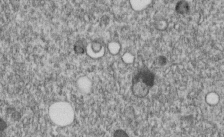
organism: C. elegans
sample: C. elegans embryo early stage